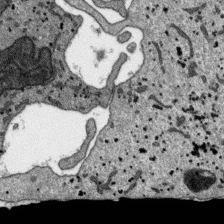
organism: Human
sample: Lung epithelial cells, uninfected (mock) control